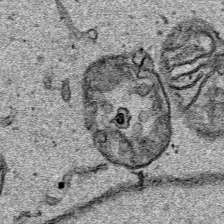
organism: Human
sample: Mitochondria in HCT116 cells